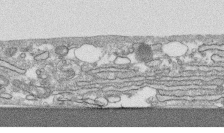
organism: Human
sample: CRL-1474